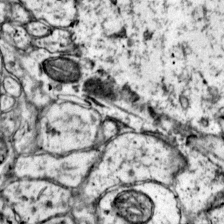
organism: Mouse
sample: Primary visual cortex